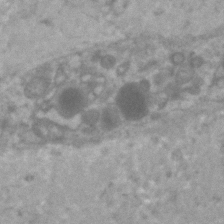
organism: Human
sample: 1205lu cells